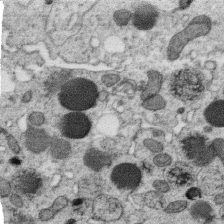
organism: C. elegans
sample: C. elegans oocyte; sperm cells